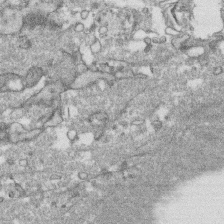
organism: Human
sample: CRL-1474